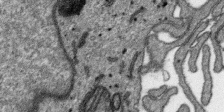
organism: Human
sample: Lung epithelial cells, uninfected (mock) control